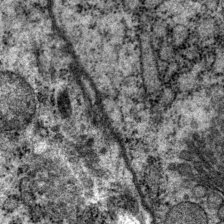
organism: P. pacificus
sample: Pharynx